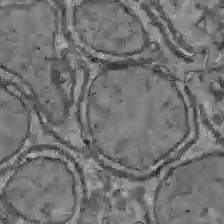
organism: C57BL Mouse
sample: Liver